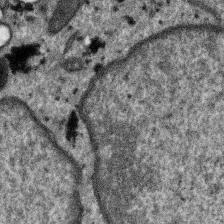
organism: Human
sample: Lung epithelial cells infected with SARS-CoV-2